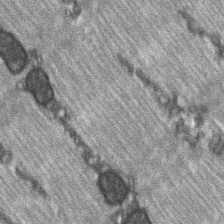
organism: C57BL Mouse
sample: Soleus